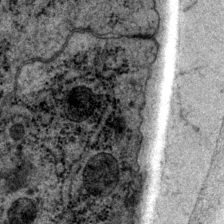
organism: P. pacificus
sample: Pharynx